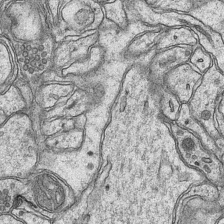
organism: Mouse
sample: CA1 Hippocampus